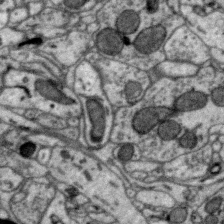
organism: Zebra finch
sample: Brain